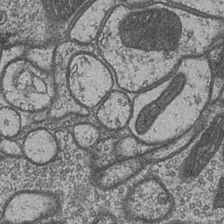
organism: Drosophila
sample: Optic medulla